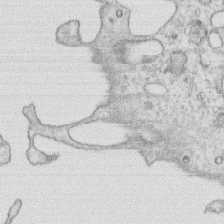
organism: Human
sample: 1205lu cells